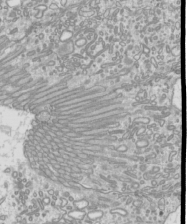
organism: Mouse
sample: Cilia; mouse epididymis